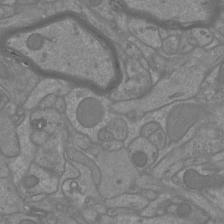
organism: Mouse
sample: Cortical neurons